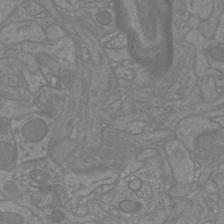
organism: Mouse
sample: Cortical neurons